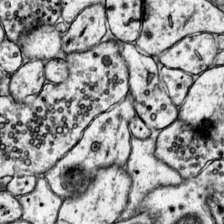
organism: Mouse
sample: Primary visual cortex